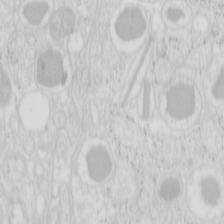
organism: Mouse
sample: Pancreas